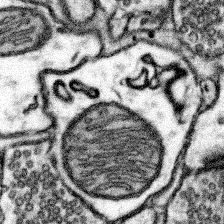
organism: Mouse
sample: Somatosensory cortex neuropil